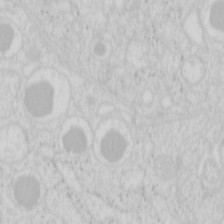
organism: Mouse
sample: Pancreas